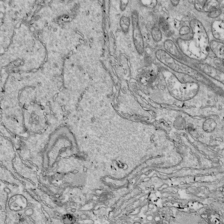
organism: Drosophila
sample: Cell division; meiosis; drosophila spermatocytes